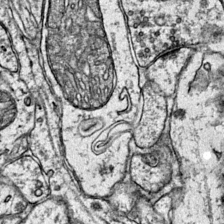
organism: Mouse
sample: Primary visual cortex